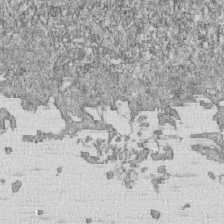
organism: Human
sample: HeLa cell HIV synapse